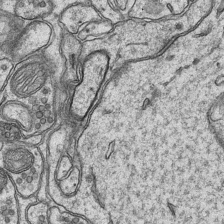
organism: Mouse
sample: CA1 Hippocampus